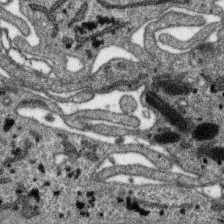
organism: Human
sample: Lung epithelial cells infected with SARS-CoV-2